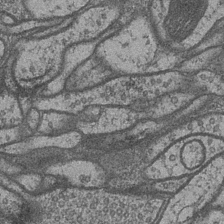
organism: Drosophila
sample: Optic medulla